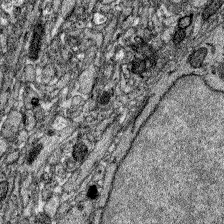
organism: Zebrafish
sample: Larval olfactory bulb